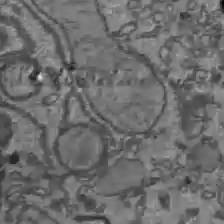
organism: C57BL Mouse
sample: Liver